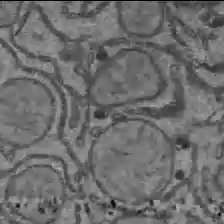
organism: C57BL Mouse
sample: Liver